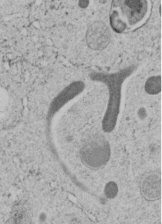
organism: C. elegans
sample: C. elegans embryo early stage